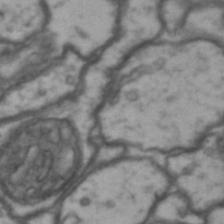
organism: Drosophila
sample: Brain